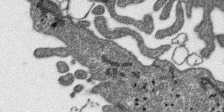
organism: Human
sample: Lung epithelial cells infected with SARS-CoV-2